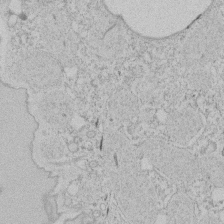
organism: Tetrahymena